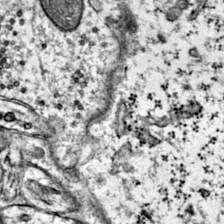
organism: Mouse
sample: Primary visual cortex